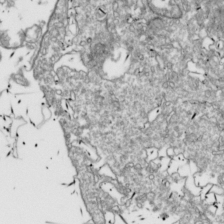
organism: Drosophila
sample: Cell division; meiosis; drosophila spermatocytes